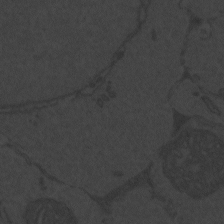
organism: Zebrafish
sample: Macrophage infected with Toxoplasma gondii